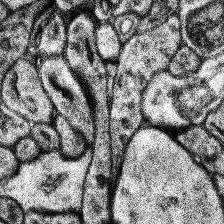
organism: Human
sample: Temporal Lobe